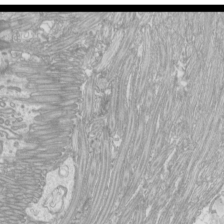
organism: Mouse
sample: Cilia; mouse epididymis